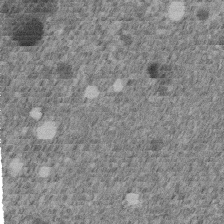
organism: C. elegans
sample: C. elegans embryo early stage